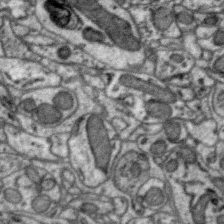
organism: Zebra finch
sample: Brain